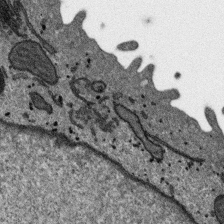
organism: Human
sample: Lung epithelial cells, uninfected (mock) control